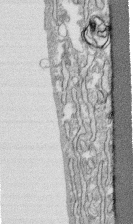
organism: Human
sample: CRL-1474